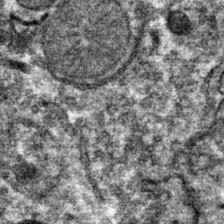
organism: Mouse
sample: Mouse hepatocytes